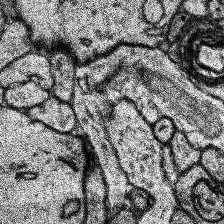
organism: Human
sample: Temporal Lobe